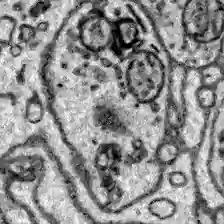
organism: Zebrafish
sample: Brain